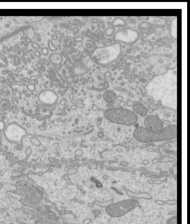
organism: Mouse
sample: Cilia; mouse epididymis